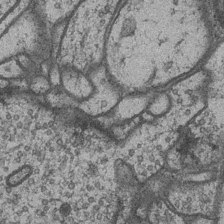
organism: Drosophila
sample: Optic medulla